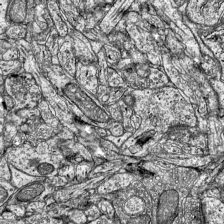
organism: Mouse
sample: Visual Cortex